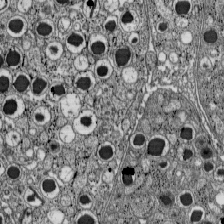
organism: C57BL Mouse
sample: Pancreatic islet